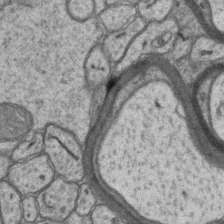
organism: Mouse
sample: CA1 Hippocampus